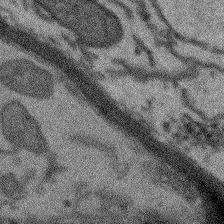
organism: Arabidopsis thaliana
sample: Root tip